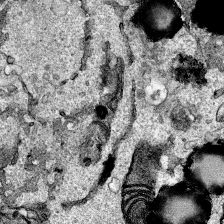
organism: Human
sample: Mitochondria in HCT116 cells